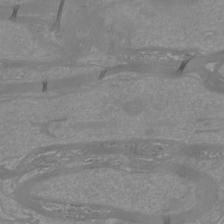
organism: Mouse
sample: Cortical neurons